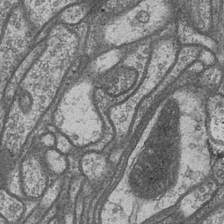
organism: Drosophila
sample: Optic medulla